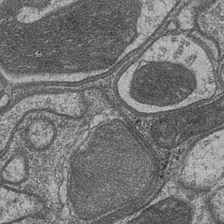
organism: Drosophila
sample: Optic medulla